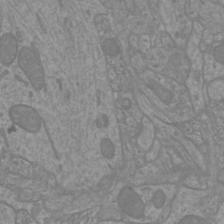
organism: Mouse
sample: Cortical neurons